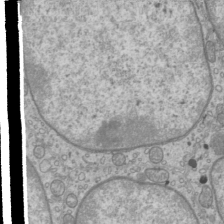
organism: Mouse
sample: Cilia; mouse epididymis